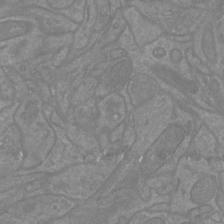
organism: Mouse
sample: Cortical neurons